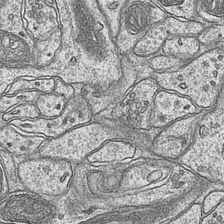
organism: Mouse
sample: CA1 Hippocampus